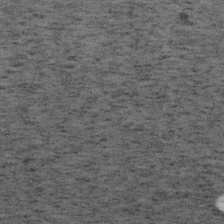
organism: Mouse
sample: OT-I killer T cells with ID8 ovarian cancer cells